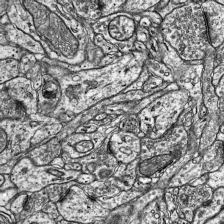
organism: Mouse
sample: Visual Cortex